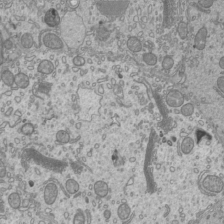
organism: Mouse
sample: Cilia; mouse epididymis